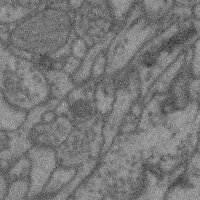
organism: Mouse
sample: Cerebral cortex